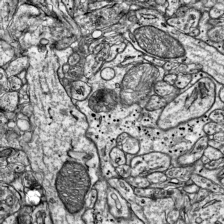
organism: Mouse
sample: Visual Cortex